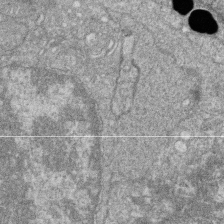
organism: Zebrafish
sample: Cilia; retinal pigment epithelium